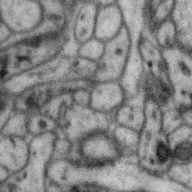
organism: Zebra finch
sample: Brain